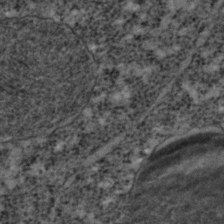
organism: C. elegans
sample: C. elegans embryo